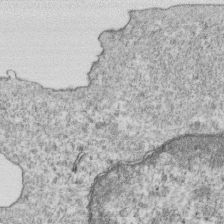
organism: Mouse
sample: Activated OT-1 CD8+ T cells